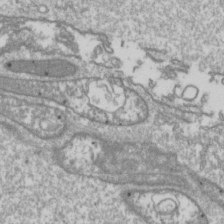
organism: Drosophila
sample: Cell division; meiosis; drosophila spermatocytes